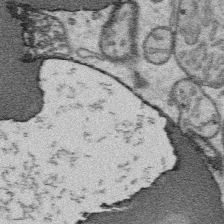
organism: Platynereis dumerilii